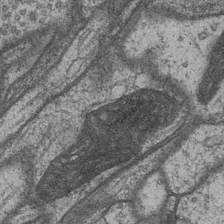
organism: Drosophila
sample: Optic medulla